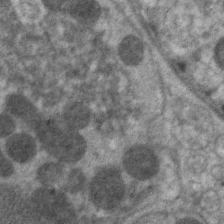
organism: C. elegans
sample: Pharynx